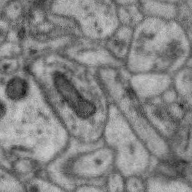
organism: Zebra finch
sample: Brain